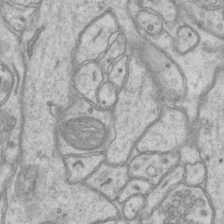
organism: Mouse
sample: CA1 Hippocampus